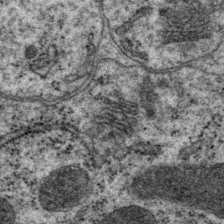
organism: P. pacificus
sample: Pharynx